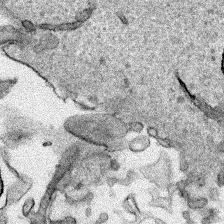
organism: Human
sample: Mitochondria in HCT116 cells